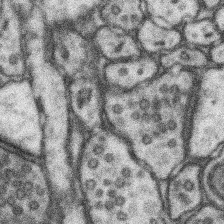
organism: Mouse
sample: Somatosensory cortex neuropil